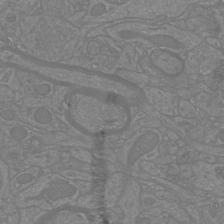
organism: Mouse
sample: Cortical neurons